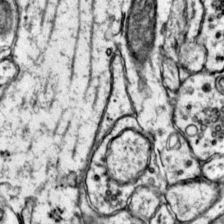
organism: Mouse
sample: Primary visual cortex